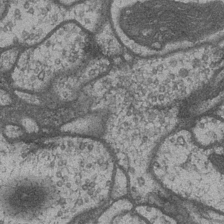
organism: Drosophila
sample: Optic medulla